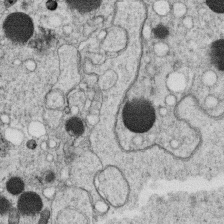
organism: C. elegans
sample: C. elegans oocyte; sperm cells